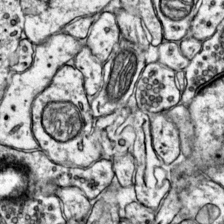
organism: Mouse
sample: Primary visual cortex